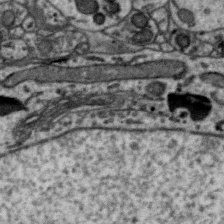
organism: Zebra finch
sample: Brain